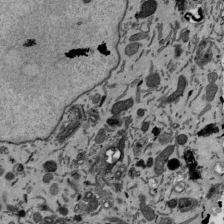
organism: Mouse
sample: ED-1 cell nuclei; centrioles